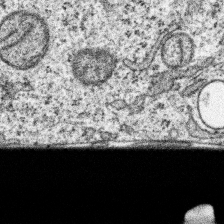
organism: Human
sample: HeLa cells